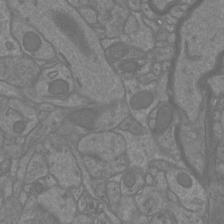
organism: Mouse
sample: Cortical neurons